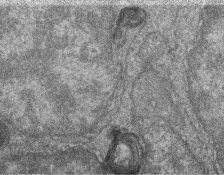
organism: Zebrafish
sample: Cilia; retinal pigment epithelium